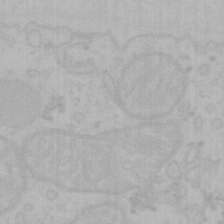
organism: Mouse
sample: Choroid plexus